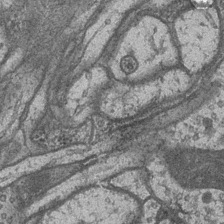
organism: Drosophila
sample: Optic medulla